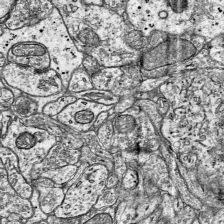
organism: Mouse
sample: Visual Cortex